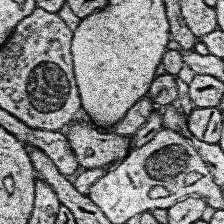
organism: Human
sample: Temporal Lobe